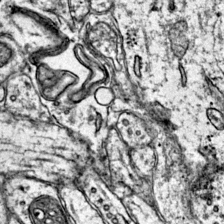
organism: Mouse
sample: Primary visual cortex